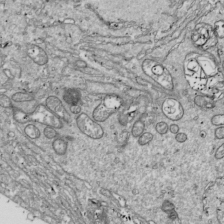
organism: Drosophila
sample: Cell division; meiosis; drosophila spermatocytes